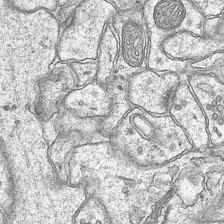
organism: Mouse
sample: CA1 Hippocampus